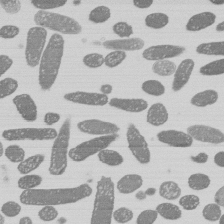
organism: E. coli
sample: Bacterial nucleoid